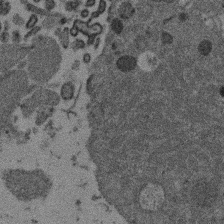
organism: Mouse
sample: Dividing mouse embryo 1 cell stage